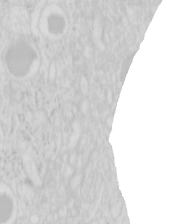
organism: Mouse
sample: Pancreas